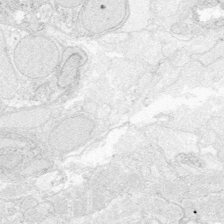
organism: Zebrafish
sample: Whole-Brain